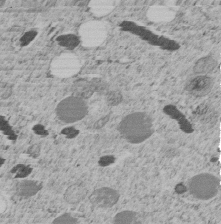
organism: C. elegans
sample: C. elegans embryo early stage